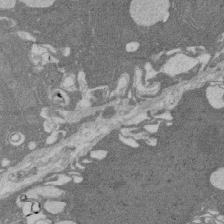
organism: Rat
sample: Salivary granule